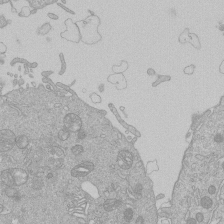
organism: Human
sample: Macrophage cells